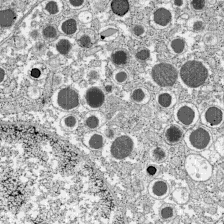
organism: C57BL Mouse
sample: Pancreatic islet